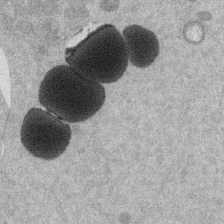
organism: Mouse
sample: Dividing mouse embryo 1 cell stage